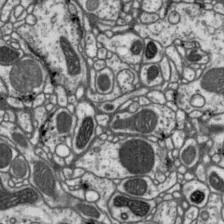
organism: Drosophila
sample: Protocerebral bridge